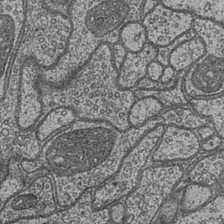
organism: Drosophila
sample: Optic medulla